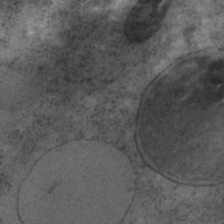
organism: C. elegans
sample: C. elegans embryo